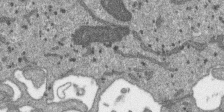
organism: Human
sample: Lung epithelial cells infected with SARS-CoV-2